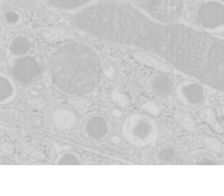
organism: Mouse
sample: Pancreas